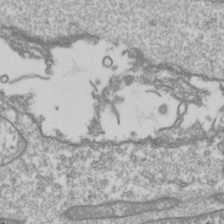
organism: Drosophila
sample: Cell division; meiosis; drosophila spermatocytes